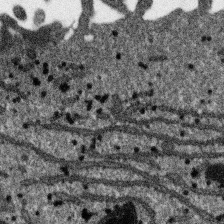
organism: Human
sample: Lung epithelial cells infected with SARS-CoV-2